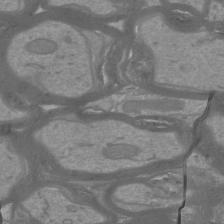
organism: Mouse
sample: Cortical neurons